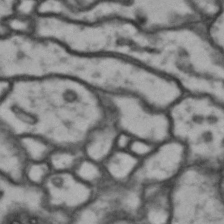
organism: Drosophila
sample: Brain